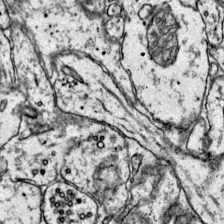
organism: Mouse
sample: Primary visual cortex